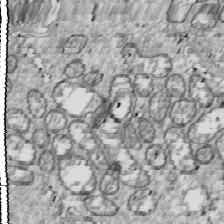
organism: Drosophila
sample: Cell division; meiosis; drosophila spermatocytes